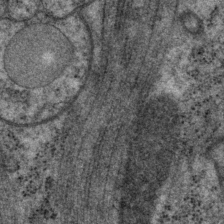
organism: P. pacificus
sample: Pharynx